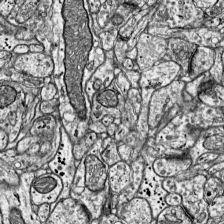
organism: Mouse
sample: Visual Cortex